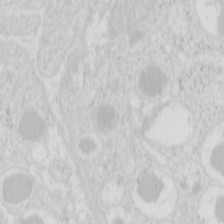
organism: Mouse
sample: Pancreas